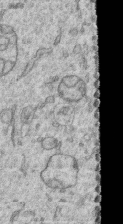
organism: Human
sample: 1205lu cells